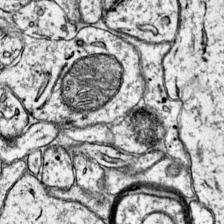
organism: Mouse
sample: Primary visual cortex